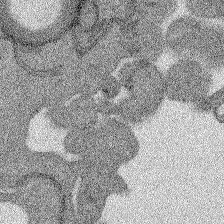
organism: Human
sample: HeLa cells